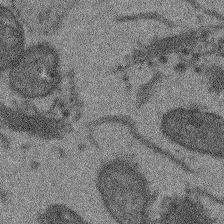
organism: Arabidopsis thaliana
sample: Root tip